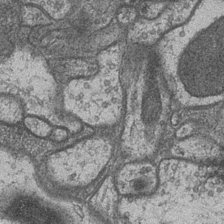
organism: Drosophila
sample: Optic medulla